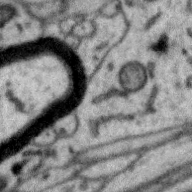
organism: Zebra finch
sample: Brain